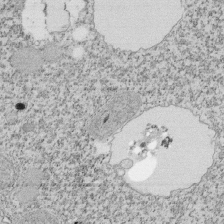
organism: Tetrahymena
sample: Cilia in tetrahymena